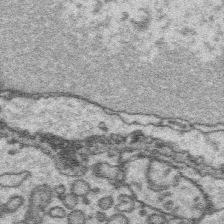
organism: Platynereis dumerilii